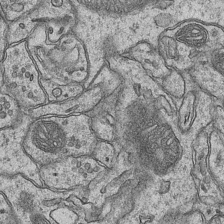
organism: Mouse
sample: CA1 Hippocampus